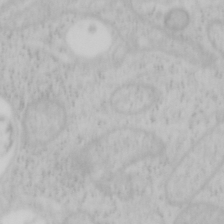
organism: Mouse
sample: OT-I killer T cells with ID8 ovarian cancer cells